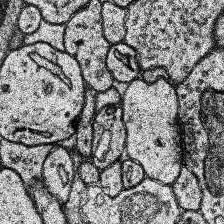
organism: Human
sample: Temporal Lobe